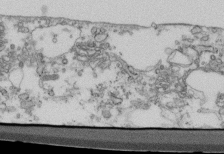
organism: Mouse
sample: Cilia; retinal pigment epithelium